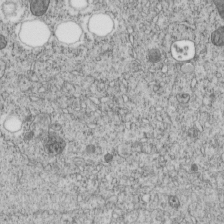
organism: C. elegans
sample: C. elegans embryo early stage